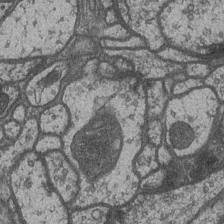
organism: Drosophila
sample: Optic medulla